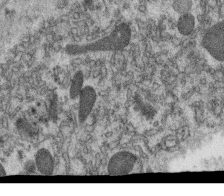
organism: C. elegans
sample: C. elegans oocyte; sperm cells